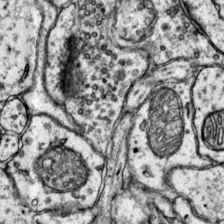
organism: Mouse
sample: Primary visual cortex